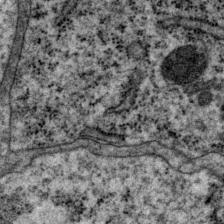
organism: P. pacificus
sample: Pharynx